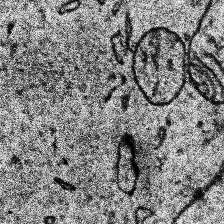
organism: Human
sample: Temporal Lobe